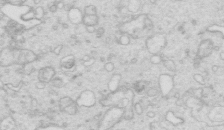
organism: Mouse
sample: Multiciliated cells